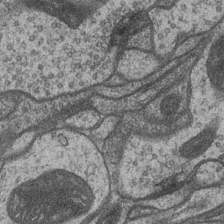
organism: Drosophila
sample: Optic medulla